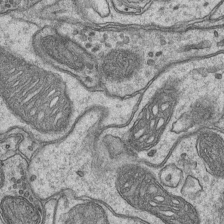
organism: Mouse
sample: CA1 Hippocampus